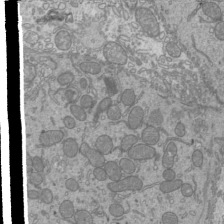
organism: Mouse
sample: Cilia; mouse epididymis